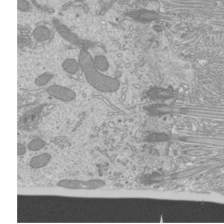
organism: Mouse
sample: Cilia; mouse epididymis